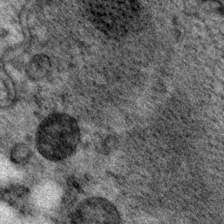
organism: P. pacificus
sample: Pharynx